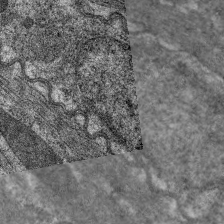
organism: C. elegans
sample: Pharynx